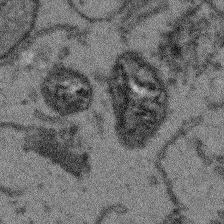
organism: Arabidopsis thaliana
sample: Root tip